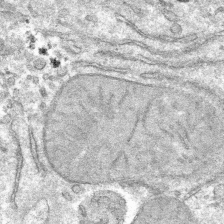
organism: Mouse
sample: Mouse hepatocytes